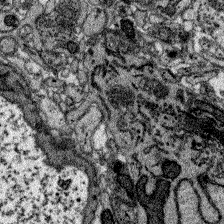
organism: Zebrafish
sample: Larval olfactory bulb